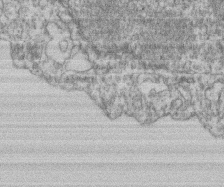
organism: Mouse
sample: T cell stromal cell synapse